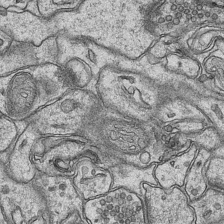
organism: Mouse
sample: CA1 Hippocampus